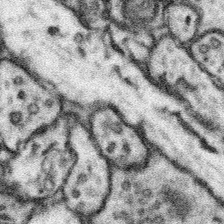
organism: Mouse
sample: Somatosensory cortex neuropil